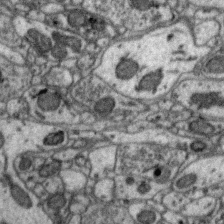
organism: Zebra finch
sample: Brain